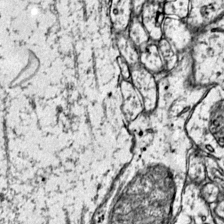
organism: Mouse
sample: Primary visual cortex